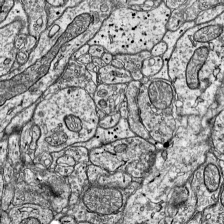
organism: Mouse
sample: Visual Cortex